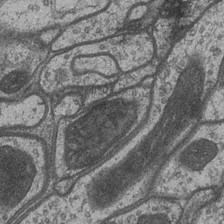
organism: Drosophila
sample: Optic medulla